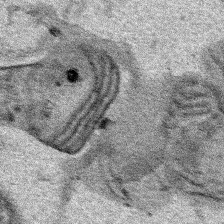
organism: Human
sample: Mitochondria in HCT116 cells